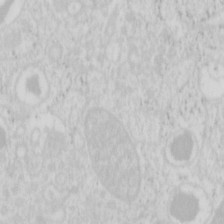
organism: Mouse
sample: Pancreas